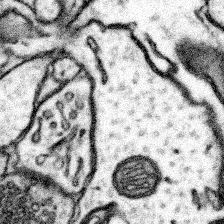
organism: Mouse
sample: Somatosensory cortex neuropil